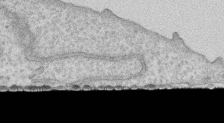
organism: Human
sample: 1205lu cells